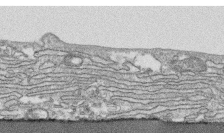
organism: Human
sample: CRL-1474